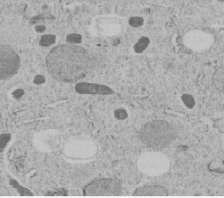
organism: C. elegans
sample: C. elegans embryo early stage